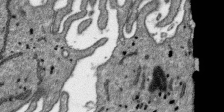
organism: Human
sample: Lung epithelial cells, uninfected (mock) control